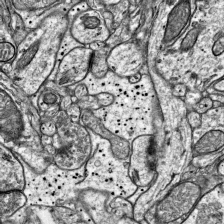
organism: Mouse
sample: Visual Cortex